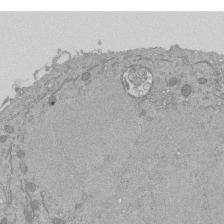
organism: Mouse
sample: ED-1 cell nuclei; centrioles